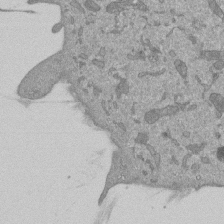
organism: Mouse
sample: ED-1 cell nuclei; centrioles